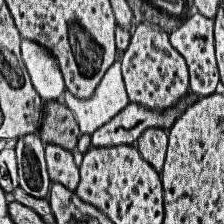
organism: Human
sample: Temporal Lobe